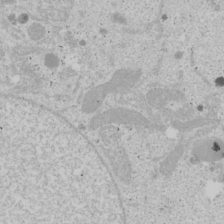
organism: Human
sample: Mitochondria in U2OS cells